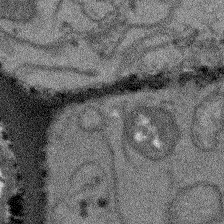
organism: Arabidopsis thaliana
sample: Root tip